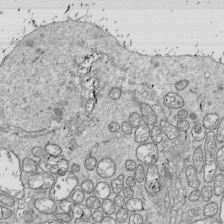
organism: Drosophila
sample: Cell division; meiosis; drosophila spermatocytes